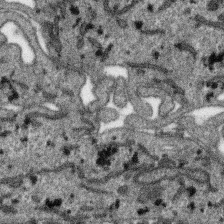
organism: Human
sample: Lung epithelial cells infected with SARS-CoV-2